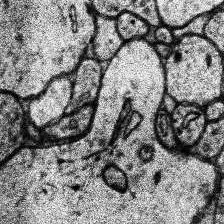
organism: Human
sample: Temporal Lobe